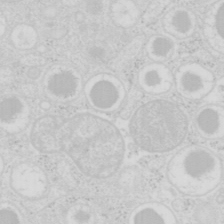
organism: Mouse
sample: Pancreas